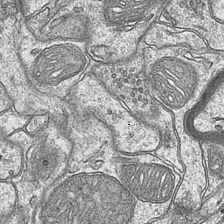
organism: Mouse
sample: CA1 Hippocampus